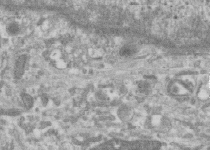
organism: Human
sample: Centriole in RPE cells